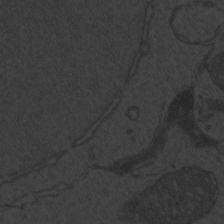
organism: Zebrafish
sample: Macrophage infected with Toxoplasma gondii